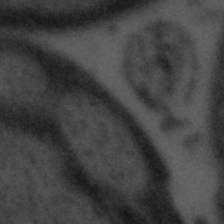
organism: Tuwongella immobilis